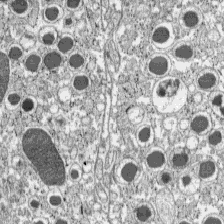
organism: C57BL Mouse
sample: Pancreatic islet